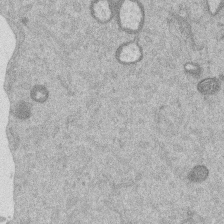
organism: Mouse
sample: Dividing mouse embryo 1 cell stage